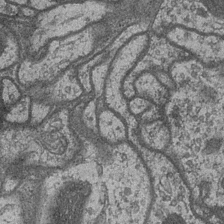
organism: Drosophila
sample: Optic medulla